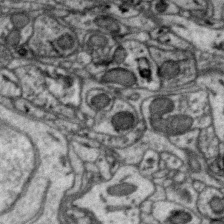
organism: Zebra finch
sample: Brain